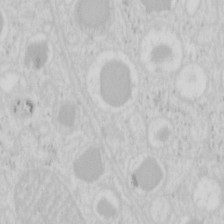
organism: Mouse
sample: Pancreas